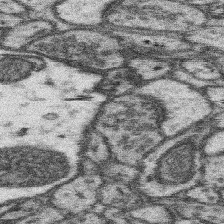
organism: Mouse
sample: Somatosensory cortex neuropil